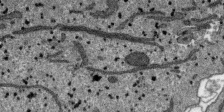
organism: Human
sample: Lung epithelial cells, uninfected (mock) control